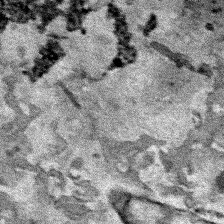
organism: Human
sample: Mitochondria in HCT116 cells